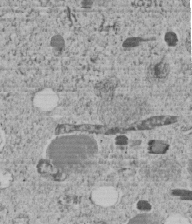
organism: C. elegans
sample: C. elegans embryo early stage